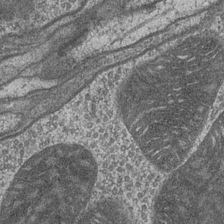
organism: Drosophila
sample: Optic medulla